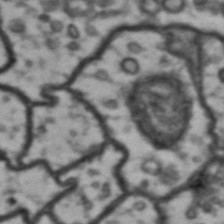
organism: Drosophila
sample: Brain